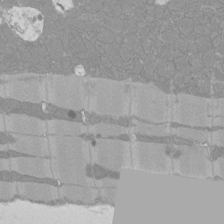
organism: Rat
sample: Left ventricle